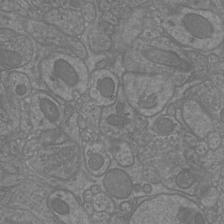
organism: Mouse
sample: Cortical neurons